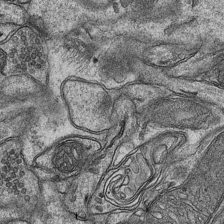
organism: Mouse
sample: CA1 Hippocampus